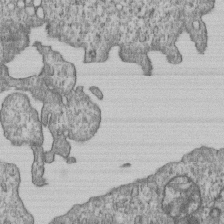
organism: Human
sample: MDA-MB-231 cells